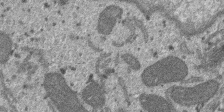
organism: Human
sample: Lung epithelial cells infected with SARS-CoV-2